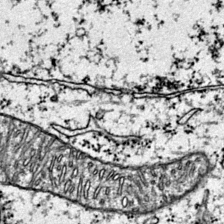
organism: Mouse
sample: Primary visual cortex